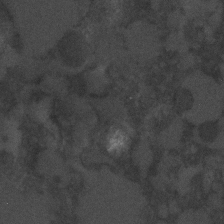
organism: C. elegans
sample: C. elegans embryo